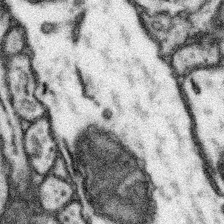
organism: Mouse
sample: Somatosensory cortex neuropil